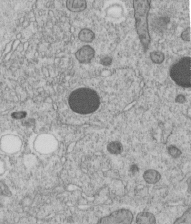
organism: C. elegans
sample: C. elegans embryo early stage